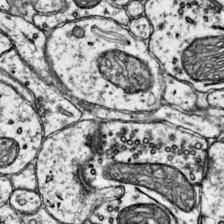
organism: Mouse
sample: Primary visual cortex